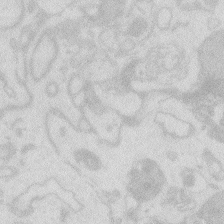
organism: Zebrafish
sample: Macrophage